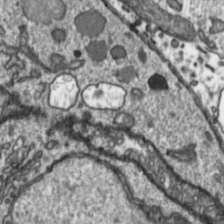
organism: Toxoplasma gondii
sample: Parasites in a vacuole inside a host cell